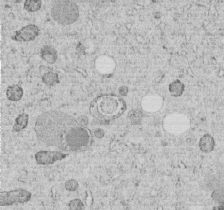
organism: C. elegans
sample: C. elegans embryo early stage